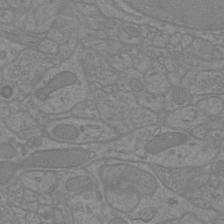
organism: Mouse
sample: Cortical neurons